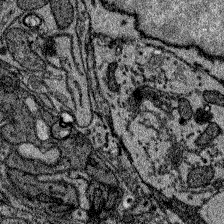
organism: Zebrafish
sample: Larval olfactory bulb